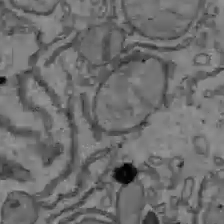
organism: C57BL Mouse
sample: Liver